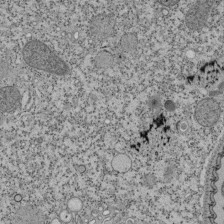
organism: Tetrahymena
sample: Cilia in tetrahymena